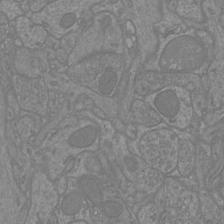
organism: Mouse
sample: Cortical neurons